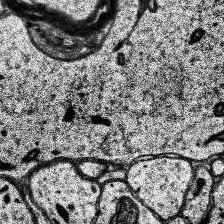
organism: Human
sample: Temporal Lobe